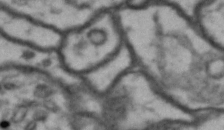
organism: Drosophila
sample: Brain